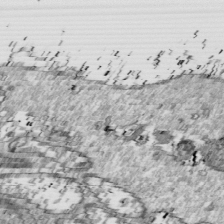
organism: Drosophila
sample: Cell division; meiosis; drosophila spermatocytes